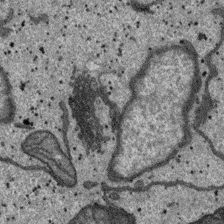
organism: Human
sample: Lung epithelial cells, uninfected (mock) control